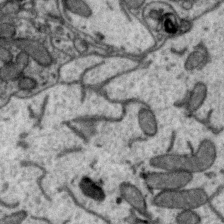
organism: Zebra finch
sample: Brain